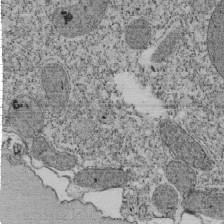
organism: Tetrahymena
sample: Cilia in tetrahymena